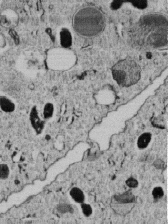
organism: C. elegans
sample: C. elegans embryo early stage